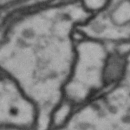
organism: Drosophila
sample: Brain